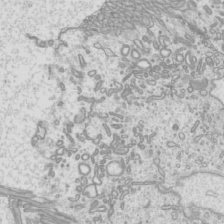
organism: Mouse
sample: Cilia; mouse epididymis